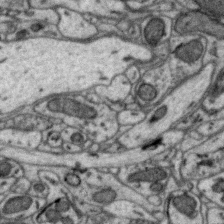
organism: Zebra finch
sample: Brain